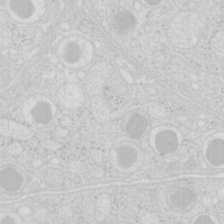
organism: Mouse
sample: Pancreas